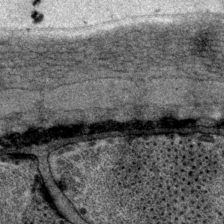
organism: P. pacificus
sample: Pharynx